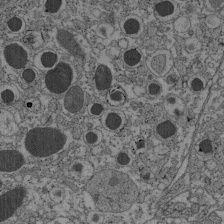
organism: C57BL Mouse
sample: Pancreatic islet